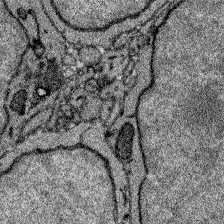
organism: Zebrafish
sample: Larval olfactory bulb